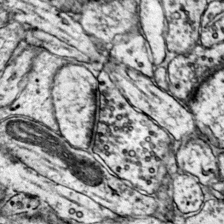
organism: Mouse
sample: Primary visual cortex